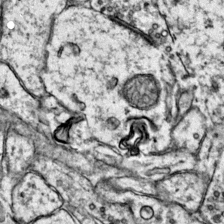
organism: Mouse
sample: Primary visual cortex